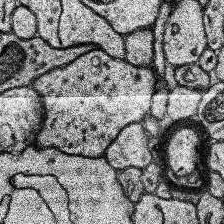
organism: Human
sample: Temporal Lobe